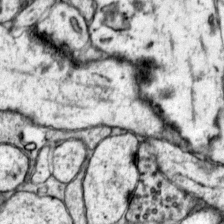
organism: Mouse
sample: Primary visual cortex